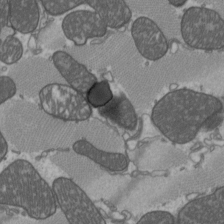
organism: C57BL Mouse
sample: Heart